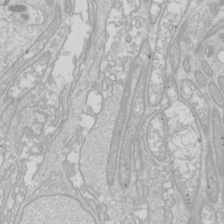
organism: Drosophila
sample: Cell division; meiosis; drosophila spermatocytes